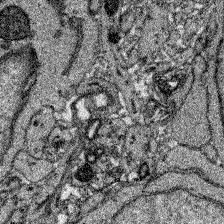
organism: Zebrafish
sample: Larval olfactory bulb